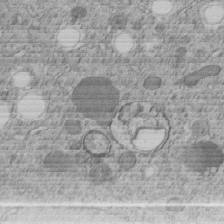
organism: C. elegans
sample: C. elegans embryo early stage